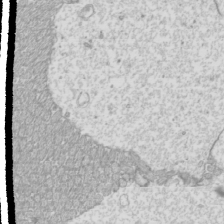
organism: Mouse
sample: Cilia; mouse epididymis